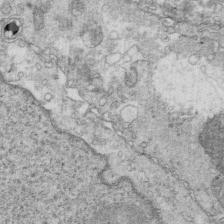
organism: Mouse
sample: Multiciliated cells